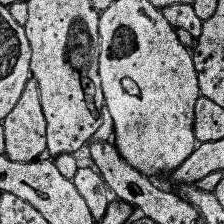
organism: Human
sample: Temporal Lobe